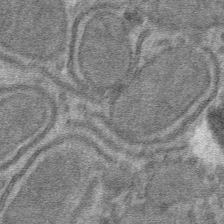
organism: Mouse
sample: Mouse hepatocytes